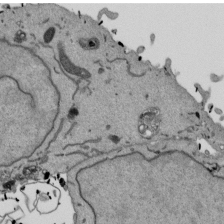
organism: Mouse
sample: ED-1 cell nuclei; centrioles